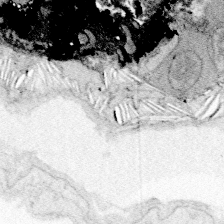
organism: Zebrafish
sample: Whole-Brain